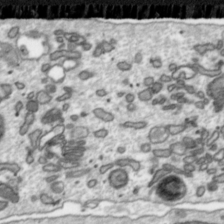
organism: Toxoplasma gondii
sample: Parasites in a vacuole inside a host cell